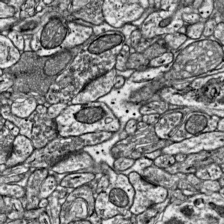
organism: Mouse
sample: Visual Cortex